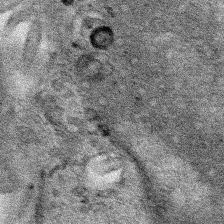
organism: Human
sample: Mitochondria in HCT116 cells